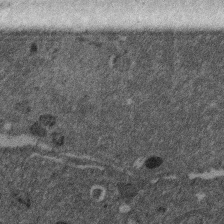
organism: Mouse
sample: Dividing mouse embryo 1 cell stage